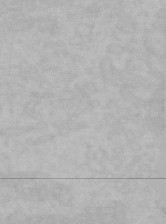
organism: Mouse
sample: Choroid plexus